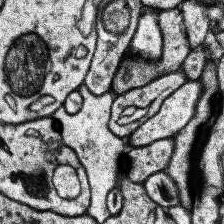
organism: Human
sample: Temporal Lobe